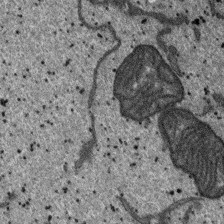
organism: Human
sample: Lung epithelial cells, uninfected (mock) control